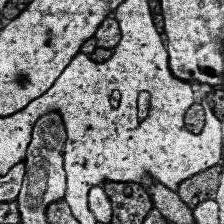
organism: Human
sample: Temporal Lobe